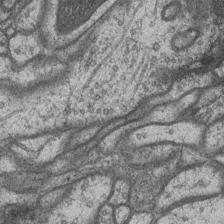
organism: Drosophila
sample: Optic medulla